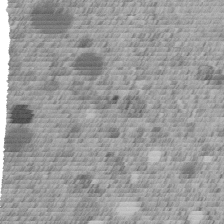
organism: C. elegans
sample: C. elegans embryo early stage